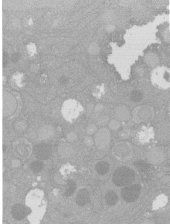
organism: C. elegans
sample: C. elegans oocyte; sperm cells